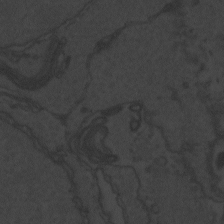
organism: Zebrafish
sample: Macrophage infected with Toxoplasma gondii